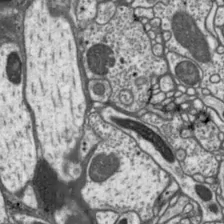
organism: Drosophila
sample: Protocerebral bridge